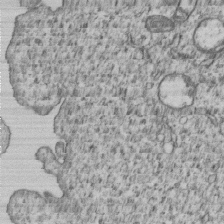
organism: Human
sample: MDA-MB-231 cells